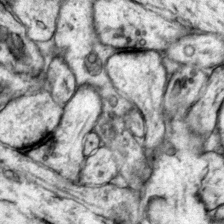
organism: Mouse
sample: Primary visual cortex